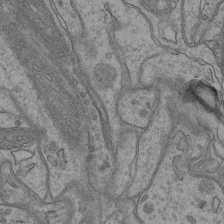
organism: Mouse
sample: CA1 Hippocampus